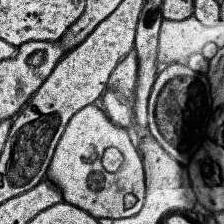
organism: Human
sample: Temporal Lobe